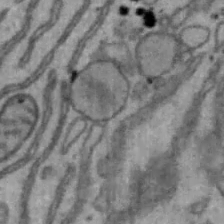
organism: Mouse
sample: Liver